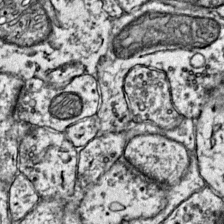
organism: Mouse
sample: Primary visual cortex